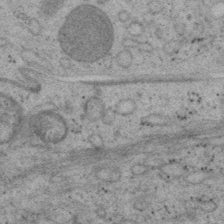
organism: Human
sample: HeLa cells